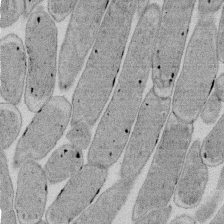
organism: E. coli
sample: Bacterial nucleoid